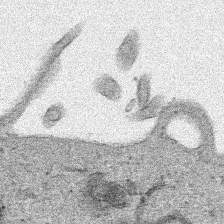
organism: Human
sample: Mitochondria in HCT116 cells